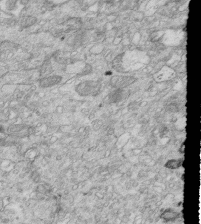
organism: Mouse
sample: Multiciliated cells